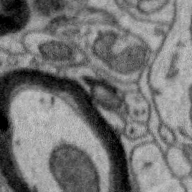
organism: Zebra finch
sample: Brain